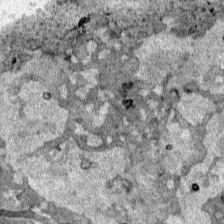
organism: Human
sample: Mitochondria in HCT116 cells